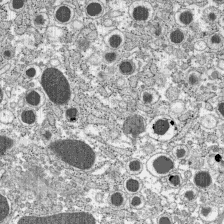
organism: C57BL Mouse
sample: Pancreatic islet